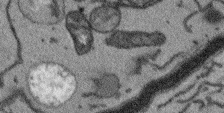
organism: Arabidopsis thaliana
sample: Root tip